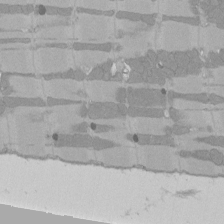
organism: Rat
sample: Left ventricle